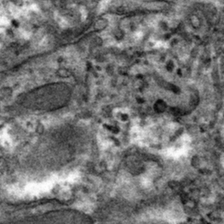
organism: Mouse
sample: Mouse hepatocytes